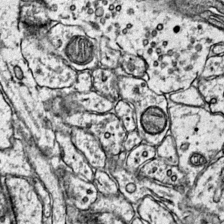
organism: Mouse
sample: Primary visual cortex